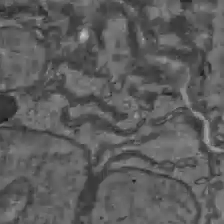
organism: C57BL Mouse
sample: Liver